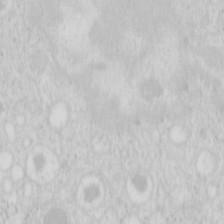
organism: Mouse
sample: Pancreas